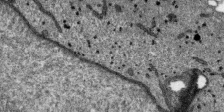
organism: Human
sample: Lung epithelial cells, uninfected (mock) control